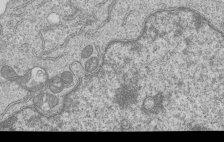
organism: Human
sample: MDA-MB-231 cells